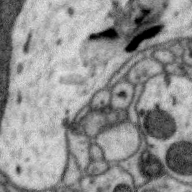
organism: Zebra finch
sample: Brain